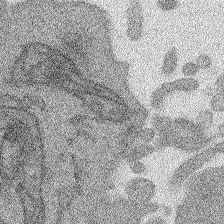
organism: Human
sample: HeLa cells